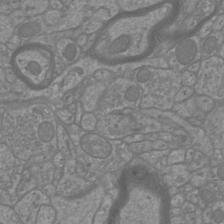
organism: Mouse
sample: Cortical neurons